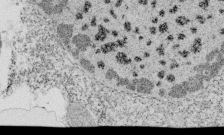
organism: Tetrahymena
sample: Cilia in tetrahymena